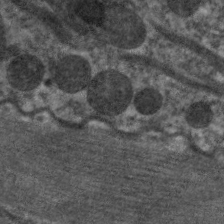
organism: C. elegans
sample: Pharynx